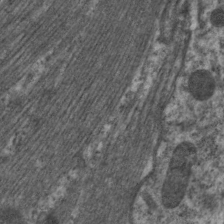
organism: C. elegans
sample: Pharynx